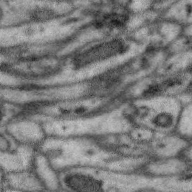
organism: Zebra finch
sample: Brain